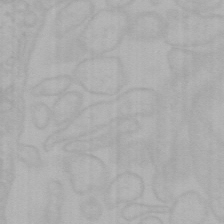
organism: Mouse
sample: Choroid plexus